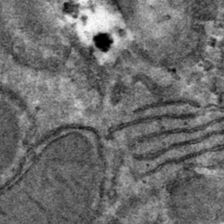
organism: Mouse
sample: Mouse hepatocytes